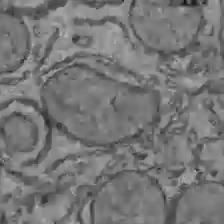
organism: C57BL Mouse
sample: Liver